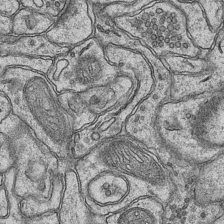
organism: Mouse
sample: CA1 Hippocampus